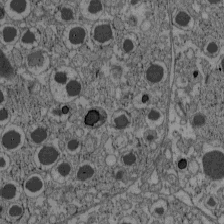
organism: C57BL Mouse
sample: Pancreatic islet